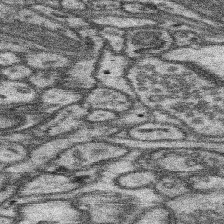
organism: Mouse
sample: Somatosensory cortex neuropil